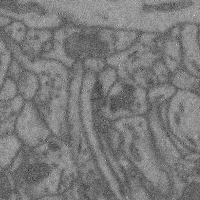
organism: Mouse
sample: Cerebral cortex